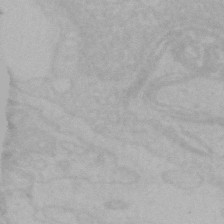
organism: Mouse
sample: Choroid plexus